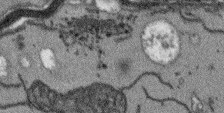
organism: Arabidopsis thaliana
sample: Root tip